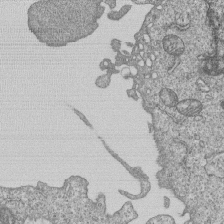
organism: Human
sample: MDA-MB-231 cells